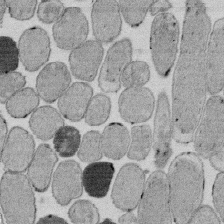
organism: E. coli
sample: Bacterial nucleoid